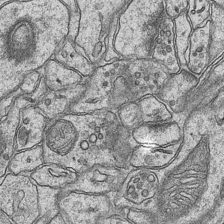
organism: Mouse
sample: CA1 Hippocampus